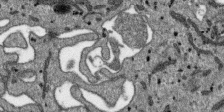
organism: Human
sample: Lung epithelial cells, uninfected (mock) control